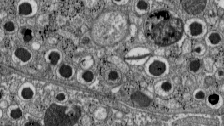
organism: C57BL Mouse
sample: Pancreatic islet